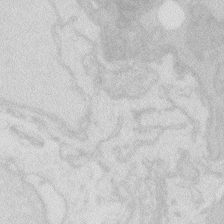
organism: Zebrafish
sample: Macrophage